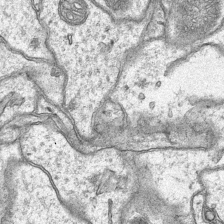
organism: Mouse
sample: CA1 Hippocampus